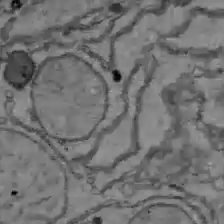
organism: C57BL Mouse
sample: Liver